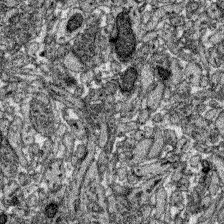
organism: Zebrafish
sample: Larval olfactory bulb